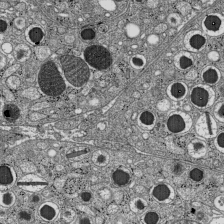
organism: C57BL Mouse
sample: Pancreatic islet